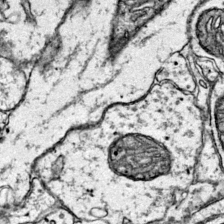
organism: Mouse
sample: Primary visual cortex